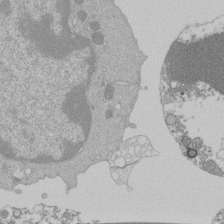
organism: Mouse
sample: Activated Pmel transgenic CD8+ T Cells